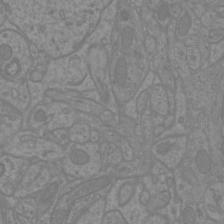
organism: Mouse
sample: Cortical neurons